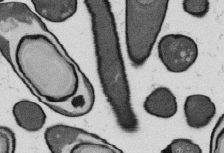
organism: B. subtilis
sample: Bacterial spore